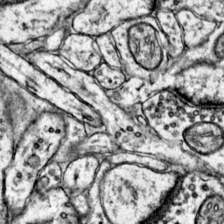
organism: Mouse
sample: Primary visual cortex